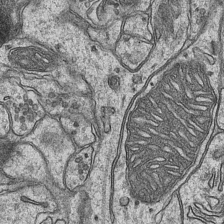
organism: Mouse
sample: CA1 Hippocampus